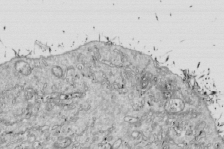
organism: Drosophila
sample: Cell division; meiosis; drosophila spermatocytes